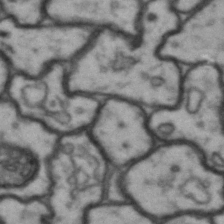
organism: Drosophila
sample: Brain